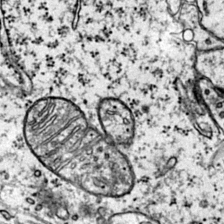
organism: Mouse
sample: Primary visual cortex